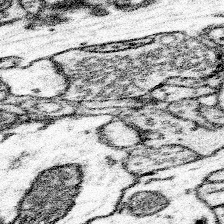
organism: Mouse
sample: Somatosensory cortex neuropil